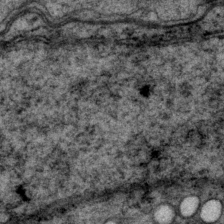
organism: P. pacificus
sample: Pharynx